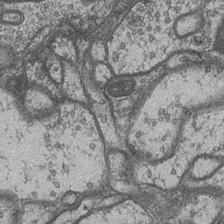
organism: Drosophila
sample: Optic medulla